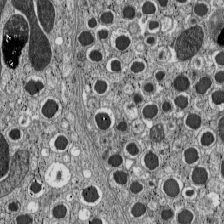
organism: C57BL Mouse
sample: Pancreatic islet